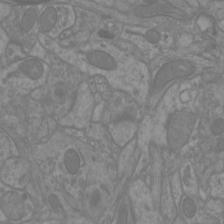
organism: Mouse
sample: Cortical neurons